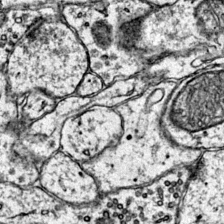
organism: Mouse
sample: Primary visual cortex